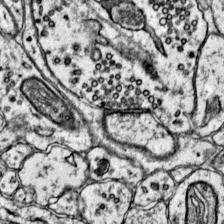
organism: Mouse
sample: Primary visual cortex